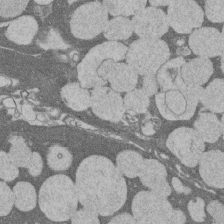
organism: Rat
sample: Salivary granule